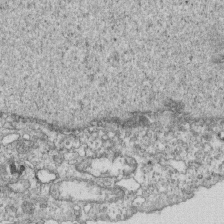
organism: Human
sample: HeLa cell HIV synapse